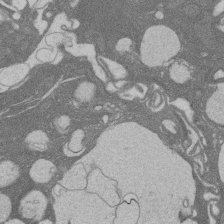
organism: Rat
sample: Salivary granule